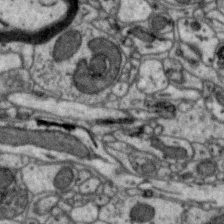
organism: Zebra finch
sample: Brain